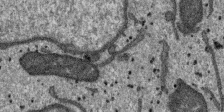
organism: Human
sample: Lung epithelial cells, uninfected (mock) control